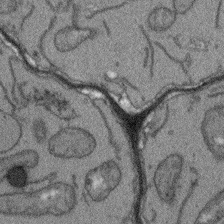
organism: Arabidopsis thaliana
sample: Root tip